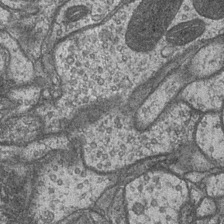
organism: Drosophila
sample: Optic medulla